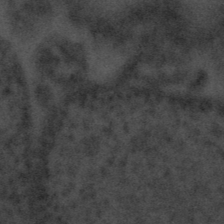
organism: Tuwongella immobilis